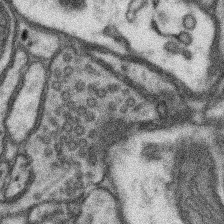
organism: Mouse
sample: Somatosensory cortex neuropil